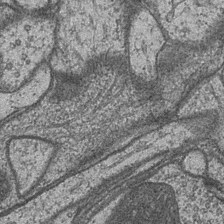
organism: Drosophila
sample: Optic medulla